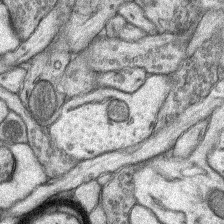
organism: Rat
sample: Hippocampus